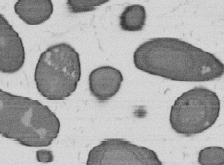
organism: B. subtilis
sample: Bacterial spore